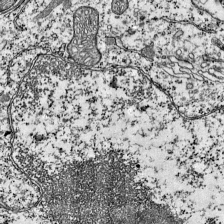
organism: Mouse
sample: Visual Cortex